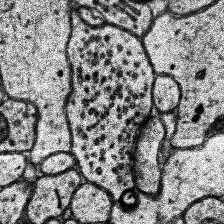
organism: Human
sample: Temporal Lobe